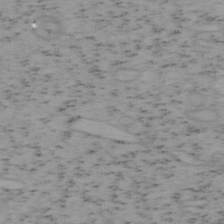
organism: Mouse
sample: OT-I killer T cells with ID8 ovarian cancer cells